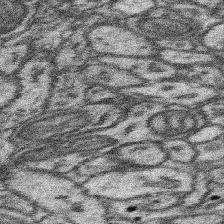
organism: Mouse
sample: Somatosensory cortex neuropil